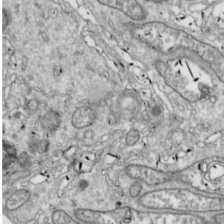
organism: Drosophila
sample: Cell division; meiosis; drosophila spermatocytes